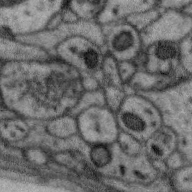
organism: Zebra finch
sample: Brain